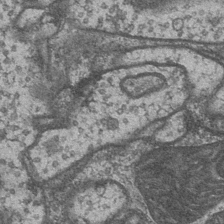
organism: Drosophila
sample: Optic medulla